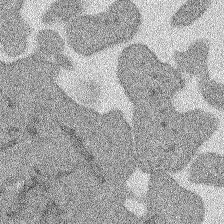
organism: Human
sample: HeLa cells